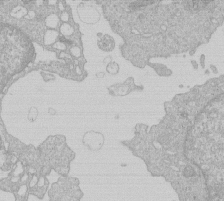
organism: Human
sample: Macrophage cells